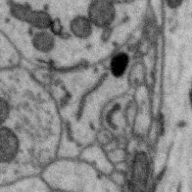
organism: Zebra finch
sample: Brain